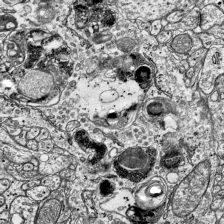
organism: Mouse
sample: Visual Cortex